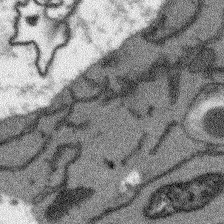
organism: Arabidopsis thaliana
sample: Root tip